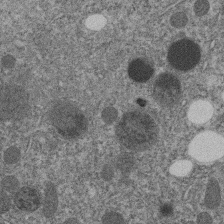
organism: C. elegans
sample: C. elegans embryo early stage